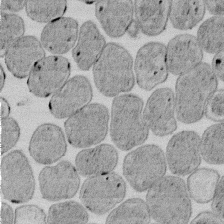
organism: E. coli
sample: Bacterial nucleoid